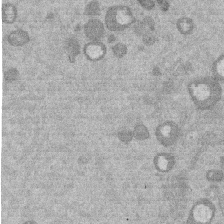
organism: Mouse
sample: Dividing mouse embryo 1 cell stage